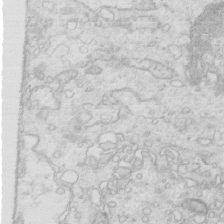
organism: Mouse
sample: Multiciliated cells